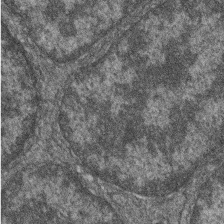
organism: Zebrafish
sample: Cilia; retinal pigment epithelium